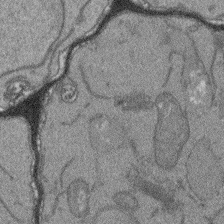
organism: Arabidopsis thaliana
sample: Root tip